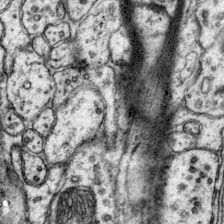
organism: Mouse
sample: Primary visual cortex